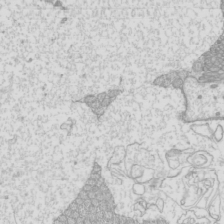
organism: Mouse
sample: Cilia; mouse epididymis